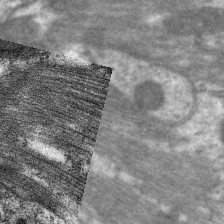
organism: C. elegans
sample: Pharynx